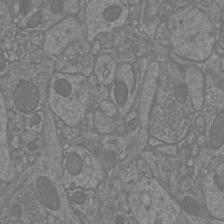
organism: Mouse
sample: Cortical neurons